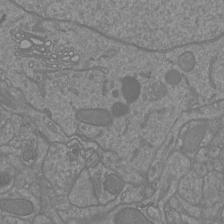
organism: Mouse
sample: Cortical neurons